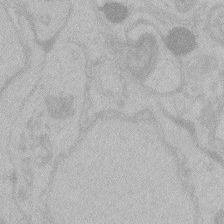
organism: Zebrafish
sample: Macrophage infected with Toxoplasma gondii